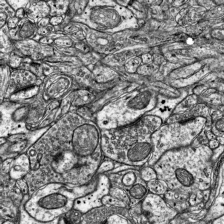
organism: Mouse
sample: Visual Cortex